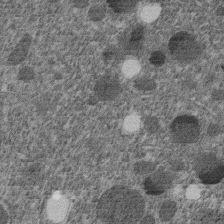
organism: C. elegans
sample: C. elegans embryo early stage